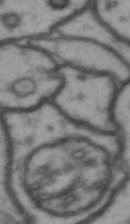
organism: Drosophila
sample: Brain